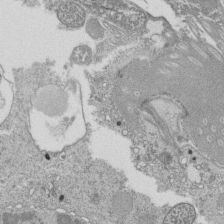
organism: Tetrahymena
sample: Cilia in tetrahymena